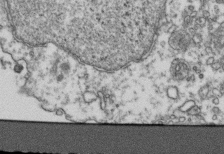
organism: Human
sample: Activated Jurkat CD4+ T cells